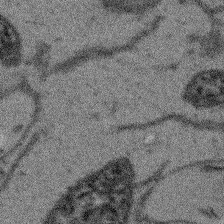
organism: Arabidopsis thaliana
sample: Root tip